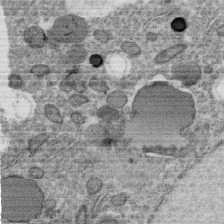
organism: C. elegans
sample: C. elegans oocyte; sperm cells